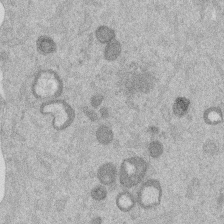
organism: Mouse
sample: Dividing mouse embryo 1 cell stage